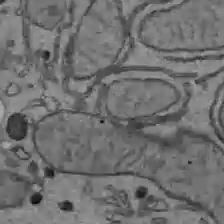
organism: C57BL Mouse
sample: Liver